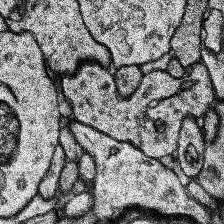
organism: Human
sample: Temporal Lobe